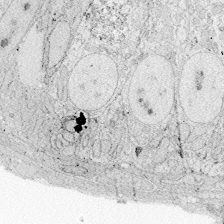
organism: Zebrafish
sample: Whole-Brain